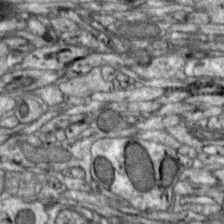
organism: Zebra finch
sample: Brain